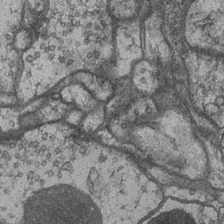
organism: Drosophila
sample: Optic medulla